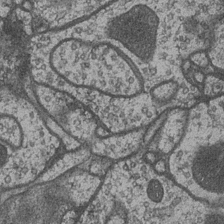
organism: Drosophila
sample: Optic medulla